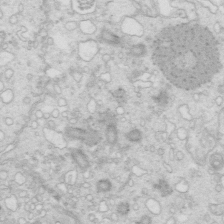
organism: Mouse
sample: Multiciliated cells